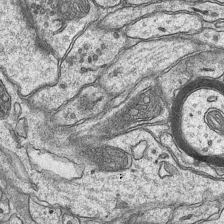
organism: Mouse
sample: CA1 Hippocampus